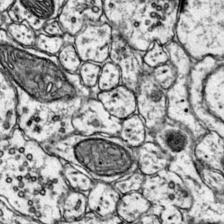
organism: Mouse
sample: Primary visual cortex